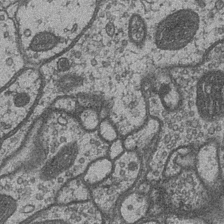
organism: Drosophila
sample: Optic medulla